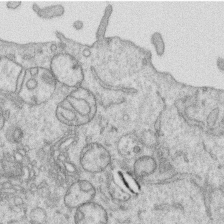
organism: Human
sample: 1205lu cells